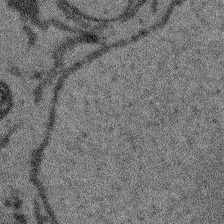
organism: Arabidopsis thaliana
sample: Root tip